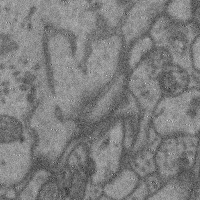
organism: Mouse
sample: Cerebral cortex